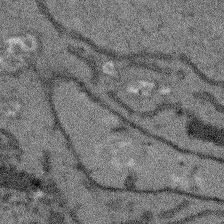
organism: Arabidopsis thaliana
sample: Root tip